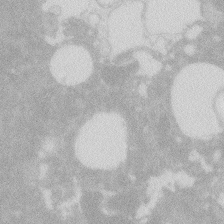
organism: Zebrafish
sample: Macrophage